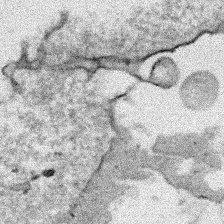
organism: Human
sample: Mitochondria in HCT116 cells